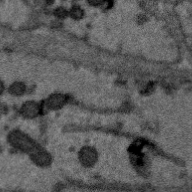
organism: Zebra finch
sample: Brain